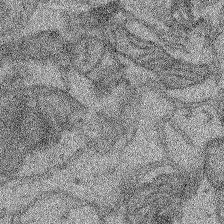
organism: Human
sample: HeLa cells